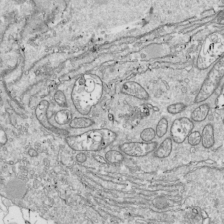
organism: Drosophila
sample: Cell division; meiosis; drosophila spermatocytes